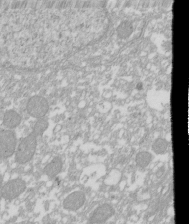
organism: Xenopus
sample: Cilia; centrioles in frog embryo cells